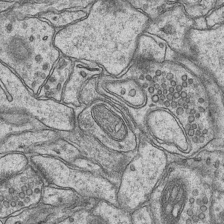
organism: Mouse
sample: CA1 Hippocampus